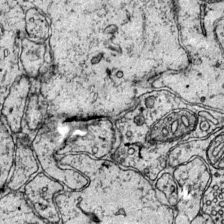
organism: Mouse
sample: Primary visual cortex